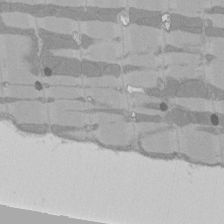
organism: Rat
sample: Left ventricle